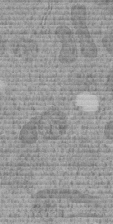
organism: C. elegans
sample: C. elegans embryo early stage